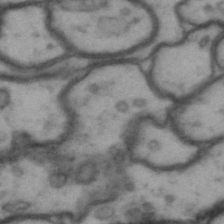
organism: Drosophila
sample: Brain